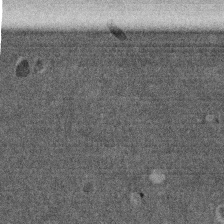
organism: Mouse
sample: Dividing mouse embryo 1 cell stage